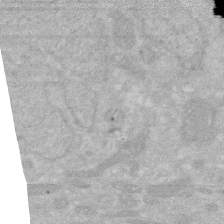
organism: Human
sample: HIV infected U937 cells